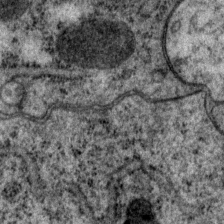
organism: P. pacificus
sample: Pharynx